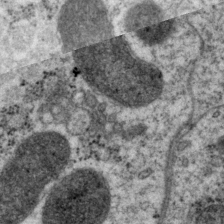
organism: P. pacificus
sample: Pharynx